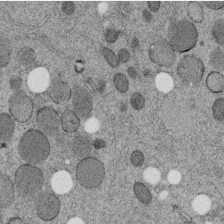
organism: C. elegans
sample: C. elegans embryo early stage